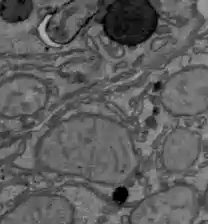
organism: C57BL Mouse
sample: Liver